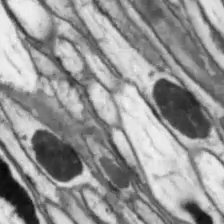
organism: Drosophila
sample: Optic lobe